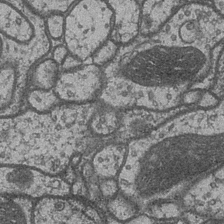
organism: Drosophila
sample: Optic medulla